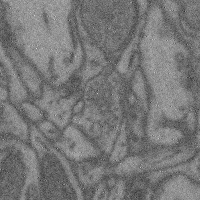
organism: Mouse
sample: Cerebral cortex